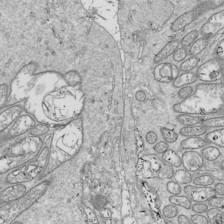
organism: Drosophila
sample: Cell division; meiosis; drosophila spermatocytes